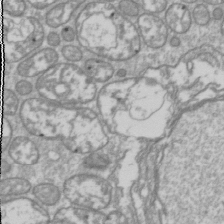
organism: Drosophila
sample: Cell division; meiosis; drosophila spermatocytes